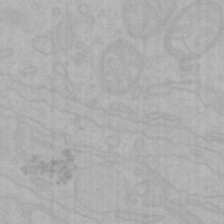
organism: Mouse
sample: Choroid plexus